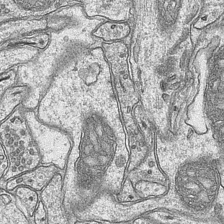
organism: Mouse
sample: CA1 Hippocampus